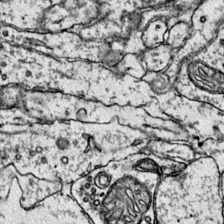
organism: Mouse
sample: Primary visual cortex